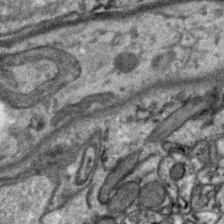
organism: Zebra finch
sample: Brain